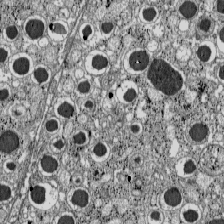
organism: C57BL Mouse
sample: Pancreatic islet